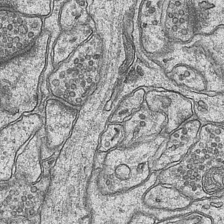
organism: Mouse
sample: CA1 Hippocampus